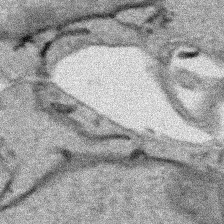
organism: Human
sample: Mitochondria in HCT116 cells